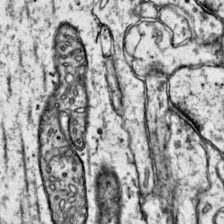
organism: Mouse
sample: Primary visual cortex